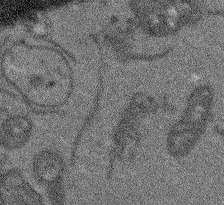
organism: Arabidopsis thaliana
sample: Root tip